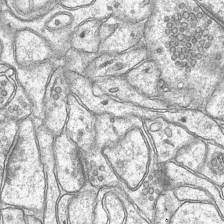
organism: Mouse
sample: CA1 Hippocampus